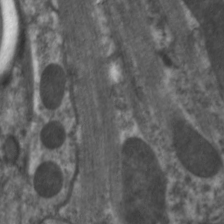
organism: C. elegans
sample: Pharynx